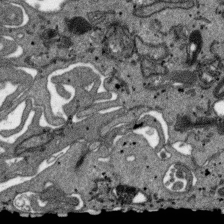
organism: Human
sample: Lung epithelial cells, uninfected (mock) control